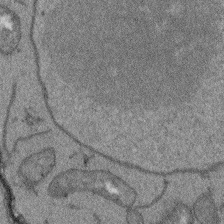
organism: Arabidopsis thaliana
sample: Root tip